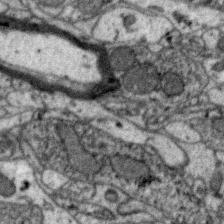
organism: Zebra finch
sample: Brain